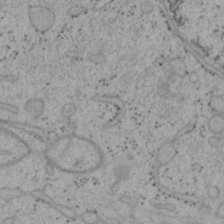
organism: Human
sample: HeLa cells